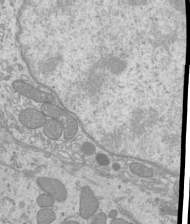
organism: Mouse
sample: Cilia; mouse epididymis